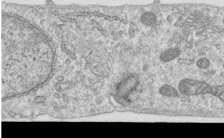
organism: Human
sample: Centriole in RPE cells